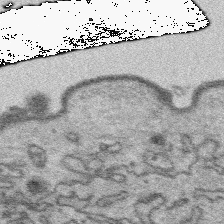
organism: Platynereis dumerilii